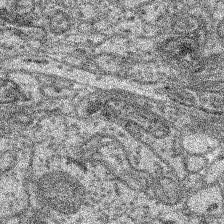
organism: Mouse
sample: Retina